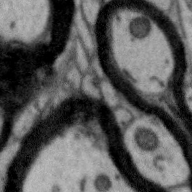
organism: Zebra finch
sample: Brain